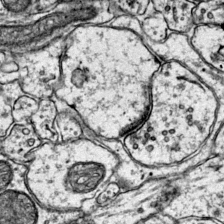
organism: Mouse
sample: Primary visual cortex